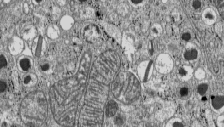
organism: C57BL Mouse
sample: Pancreatic islet